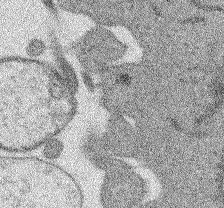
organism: Human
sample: HeLa cells